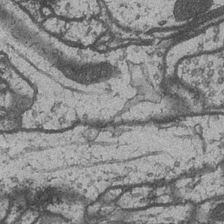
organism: Drosophila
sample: Optic medulla